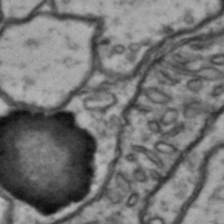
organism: Drosophila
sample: Brain